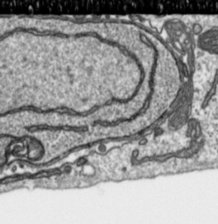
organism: Toxoplasma gondii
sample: Parasites in a vacuole inside a host cell